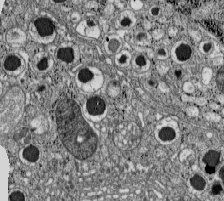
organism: C57BL Mouse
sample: Pancreatic islet